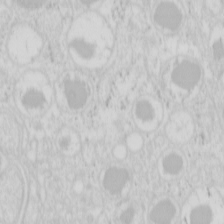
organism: Mouse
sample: Pancreas